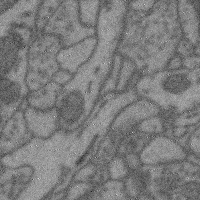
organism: Mouse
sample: Cerebral cortex